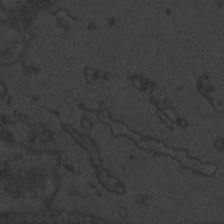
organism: Zebrafish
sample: Macrophage infected with Toxoplasma gondii